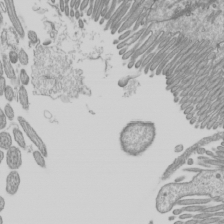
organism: Mouse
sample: Cilia; mouse epididymis